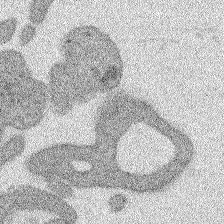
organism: Human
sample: HeLa cells